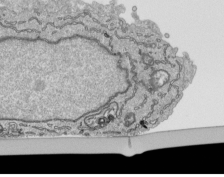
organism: Human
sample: Mitochondria in HCT116 cells